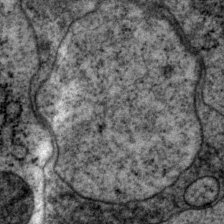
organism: P. pacificus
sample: Pharynx